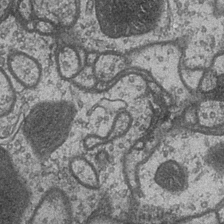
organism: Drosophila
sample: Optic medulla